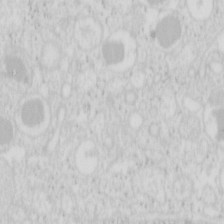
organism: Mouse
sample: Pancreas